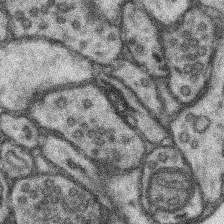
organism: Mouse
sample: Somatosensory cortex neuropil